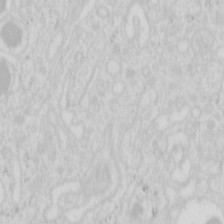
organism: Mouse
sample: Pancreas